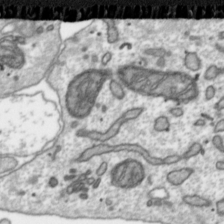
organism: Toxoplasma gondii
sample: Parasites in a vacuole inside a host cell